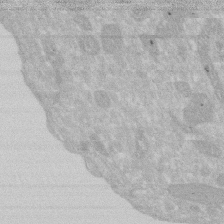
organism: Human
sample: HIV infected U937 cells